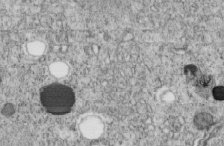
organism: C. elegans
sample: C. elegans embryo early stage